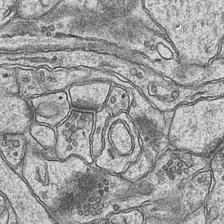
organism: Mouse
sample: CA1 Hippocampus